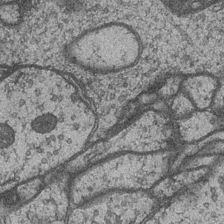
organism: Drosophila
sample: Optic medulla